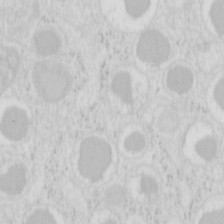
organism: Mouse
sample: Pancreas